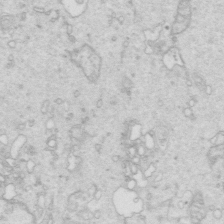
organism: Mouse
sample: Multiciliated cells